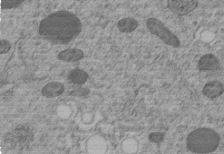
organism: C. elegans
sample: C. elegans embryo early stage